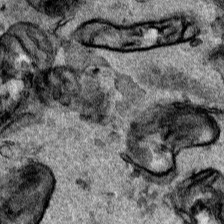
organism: Human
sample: Mitochondria in HCT116 cells